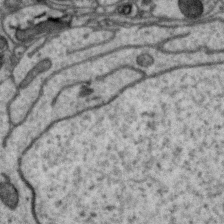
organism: Zebra finch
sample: Brain